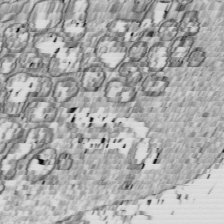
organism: Drosophila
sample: Cell division; meiosis; drosophila spermatocytes